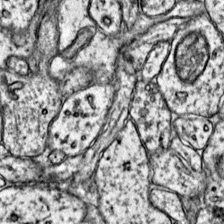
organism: Mouse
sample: Primary visual cortex